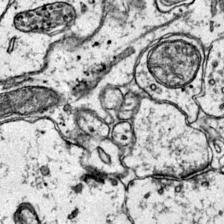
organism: Mouse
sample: Primary visual cortex